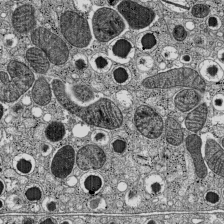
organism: C57BL Mouse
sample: Pancreatic islet